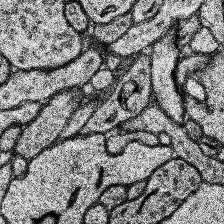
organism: Human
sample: Temporal Lobe